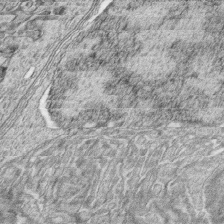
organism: Zebrafish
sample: synaptic ribbons in rod cells and cone cells